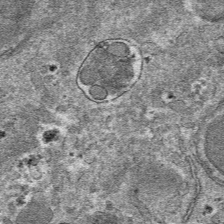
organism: Mouse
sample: Mouse hepatocytes